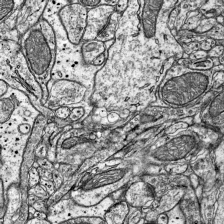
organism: Mouse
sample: Visual Cortex